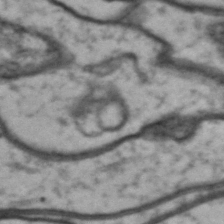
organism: Drosophila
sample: Brain